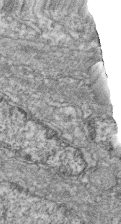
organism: Zebrafish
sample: Cilia; retinal pigment epithelium